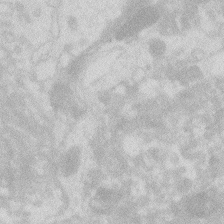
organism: Zebrafish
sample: Macrophage